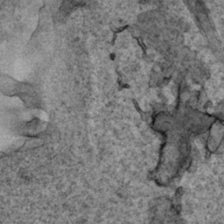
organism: Human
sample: Mitochondria in HCT116 cells